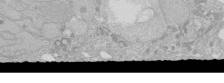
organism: Human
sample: Caco-2 cells